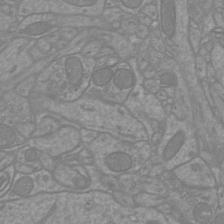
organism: Mouse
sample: Cortical neurons